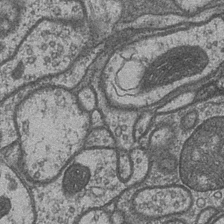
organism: Drosophila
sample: Optic medulla